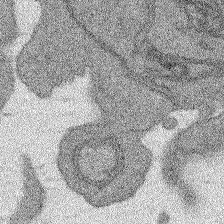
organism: Human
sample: HeLa cells